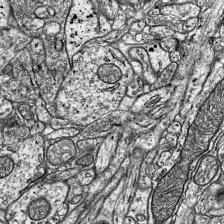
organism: Mouse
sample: Visual Cortex